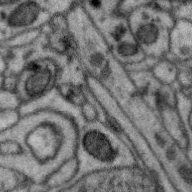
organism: Zebra finch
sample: Brain